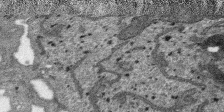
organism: Human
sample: Lung epithelial cells infected with SARS-CoV-2